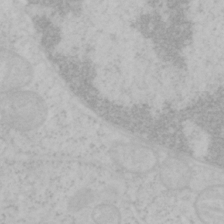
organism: Mouse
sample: OT-I killer T cells with ID8 ovarian cancer cells